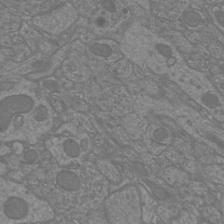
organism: Mouse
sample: Cortical neurons